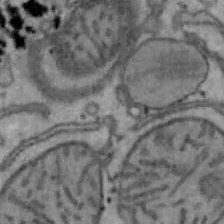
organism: Mouse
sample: Liver